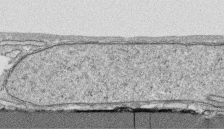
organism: Human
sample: CRL-1474